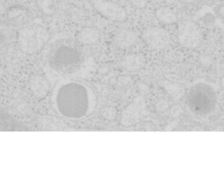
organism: Mouse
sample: Pancreas